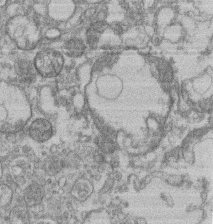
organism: Mouse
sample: T cell stromal cell synapse